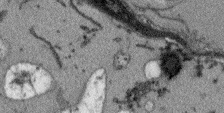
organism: Arabidopsis thaliana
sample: Root tip